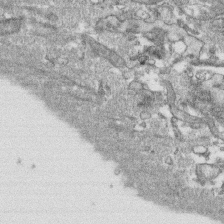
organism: Human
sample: CRL-1474